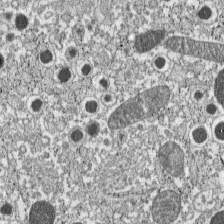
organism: C57BL Mouse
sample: Pancreatic islet